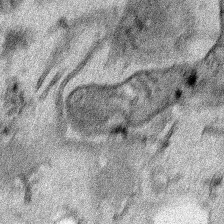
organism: Human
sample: Mitochondria in HCT116 cells